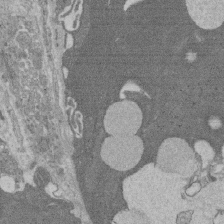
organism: Rat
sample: Salivary granule